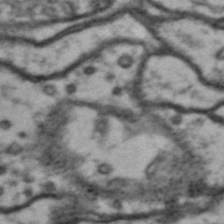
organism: Drosophila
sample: Brain